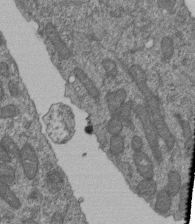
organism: Human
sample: Retinal organoid Rod and Cone cells